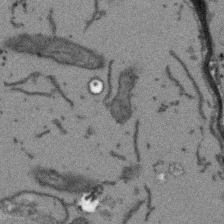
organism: Arabidopsis thaliana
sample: Root tip